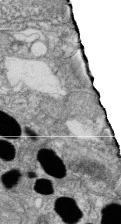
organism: Zebrafish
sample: Cilia; retinal pigment epithelium